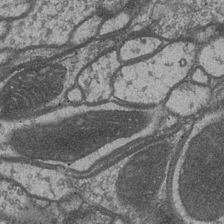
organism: Drosophila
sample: Optic medulla